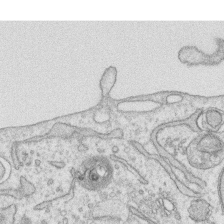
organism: Human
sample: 1205lu cells